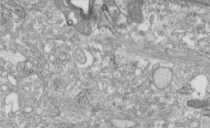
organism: Human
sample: Centriole in fibroblast cells